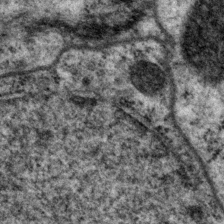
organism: P. pacificus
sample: Pharynx